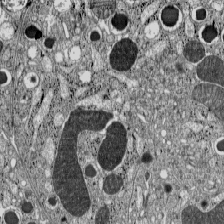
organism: C57BL Mouse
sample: Pancreatic islet